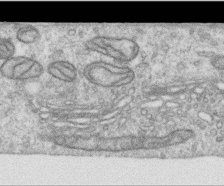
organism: Human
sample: Centriole in RPE cells